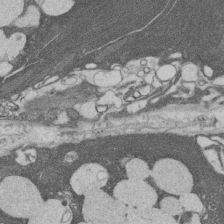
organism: Rat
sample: Salivary granule